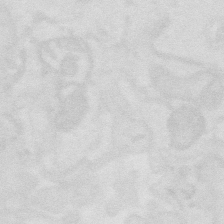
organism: Human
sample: HeLa cells